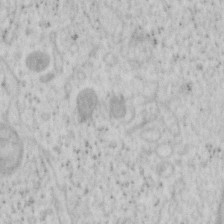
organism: Human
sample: HeLa cells